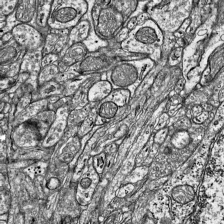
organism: Mouse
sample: Visual Cortex